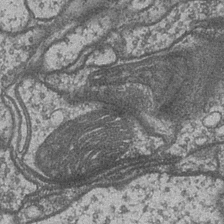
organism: Drosophila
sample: Optic medulla